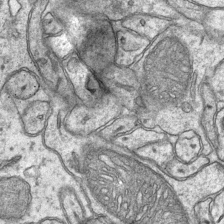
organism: Mouse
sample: CA1 Hippocampus